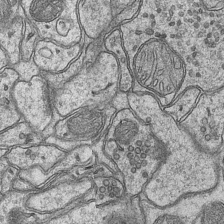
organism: Mouse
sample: CA1 Hippocampus